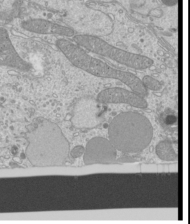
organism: Mouse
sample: Cilia; mouse epididymis